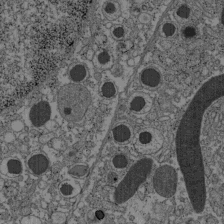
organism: C57BL Mouse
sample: Pancreatic islet